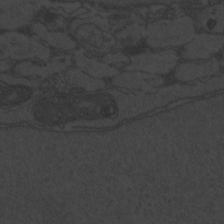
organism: Zebrafish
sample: Macrophage infected with Toxoplasma gondii